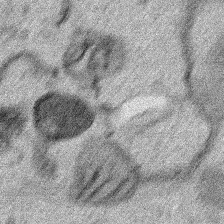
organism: Human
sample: Mitochondria in HCT116 cells